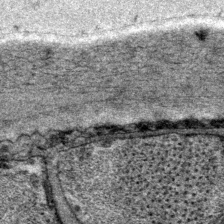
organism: P. pacificus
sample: Pharynx